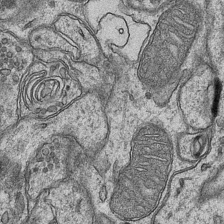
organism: Mouse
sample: CA1 Hippocampus